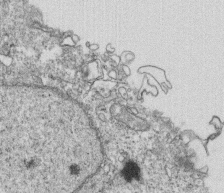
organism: Human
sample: HeLa cell HIV synapse